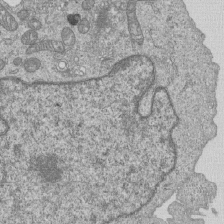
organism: Human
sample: MDA-MB-231 cells